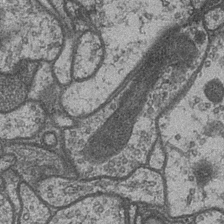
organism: Drosophila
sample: Optic medulla